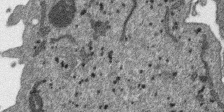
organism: Human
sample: Lung epithelial cells infected with SARS-CoV-2